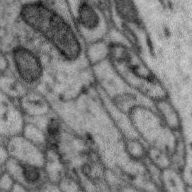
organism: Zebra finch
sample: Brain